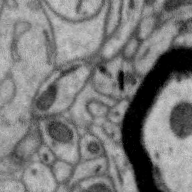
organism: Zebra finch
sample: Brain